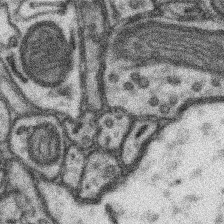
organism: Mouse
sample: Somatosensory cortex neuropil